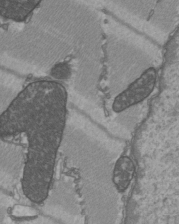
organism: C57BL Mouse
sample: Heart